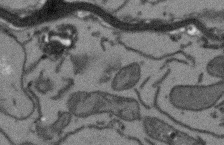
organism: Arabidopsis thaliana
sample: Root tip